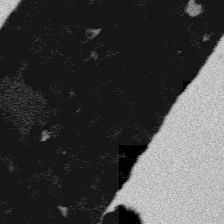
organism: Platynereis dumerilii